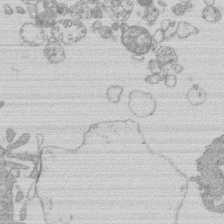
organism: Human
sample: Macrophage cells